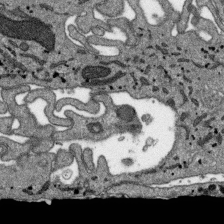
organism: Human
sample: Lung epithelial cells, uninfected (mock) control